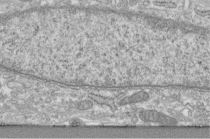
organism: Human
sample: Centriole in fibroblast cells